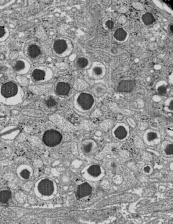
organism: C57BL Mouse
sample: Pancreatic islet